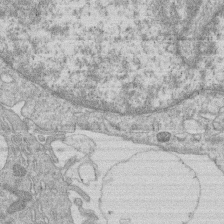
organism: Human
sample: Macrophage cells